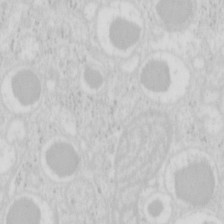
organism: Mouse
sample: Pancreas